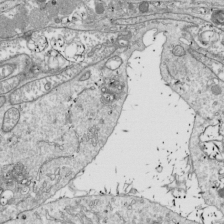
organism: Drosophila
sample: Cell division; meiosis; drosophila spermatocytes